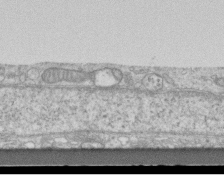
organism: Mouse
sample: Centriole in ependymal cells